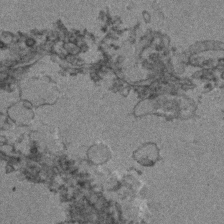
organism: Zebrafish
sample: Zebrafish embryo